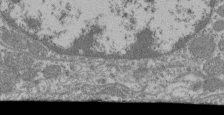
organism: Mouse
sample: Glomerulus